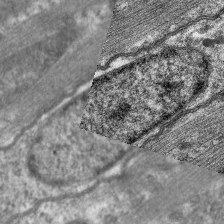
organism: C. elegans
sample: Pharynx